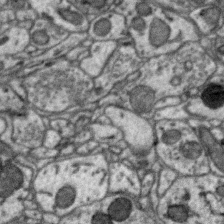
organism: Zebra finch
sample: Brain